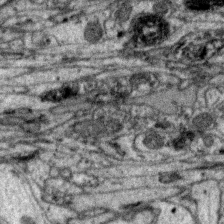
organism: Zebra finch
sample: Brain